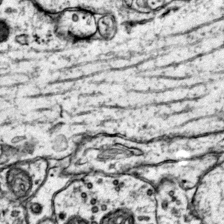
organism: Mouse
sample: Primary visual cortex